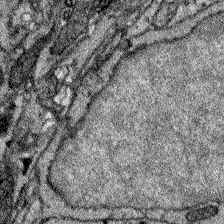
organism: Zebrafish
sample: Larval olfactory bulb